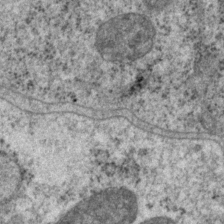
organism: P. pacificus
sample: Pharynx